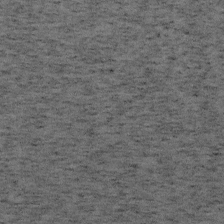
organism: Mouse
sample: OT-I killer T cells with ID8 ovarian cancer cells